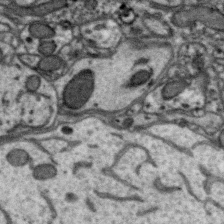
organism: Zebra finch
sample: Brain